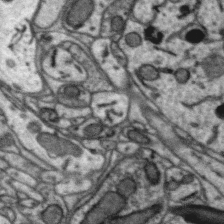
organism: Zebra finch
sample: Brain